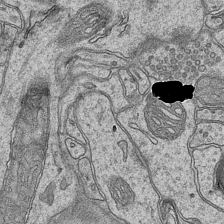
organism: Mouse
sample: CA1 Hippocampus